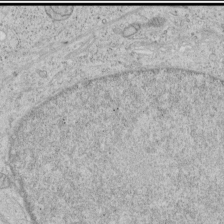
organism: Human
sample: Mitochondria in HCT116 cells